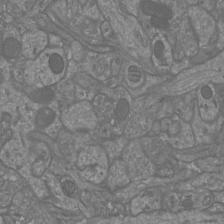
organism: Mouse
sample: Cortical neurons